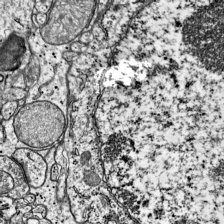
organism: Mouse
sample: Visual Cortex